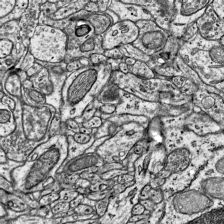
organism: Mouse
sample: Visual Cortex